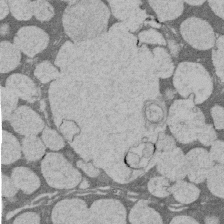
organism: Rat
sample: Salivary granule